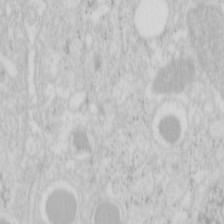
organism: Mouse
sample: Pancreas